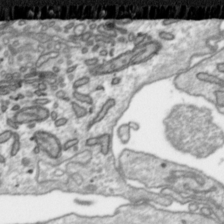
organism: Toxoplasma gondii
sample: Parasites in a vacuole inside a host cell